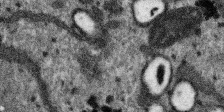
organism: Human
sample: Lung epithelial cells infected with SARS-CoV-2